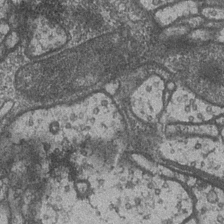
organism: Drosophila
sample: Optic medulla